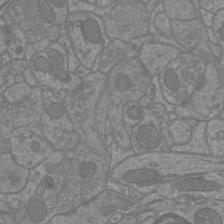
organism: Mouse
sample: Cortical neurons